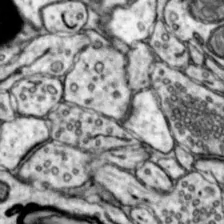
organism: Mouse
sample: Nucleus accumbens